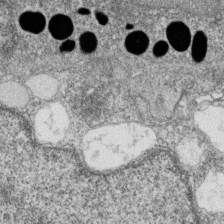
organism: Zebrafish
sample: Cilia; retinal pigment epithelium